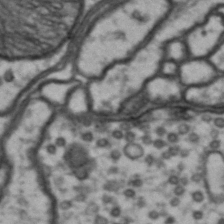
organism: Drosophila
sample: Brain